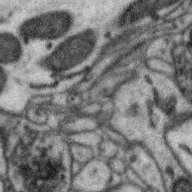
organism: Zebra finch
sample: Brain